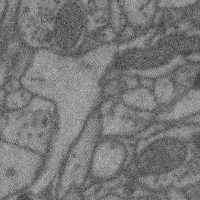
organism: Mouse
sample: Cerebral cortex